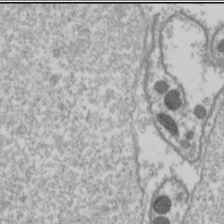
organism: Drosophila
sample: Cell division; meiosis; drosophila spermatocytes